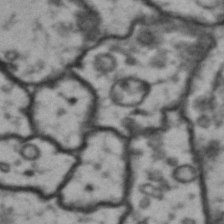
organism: Drosophila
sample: Brain